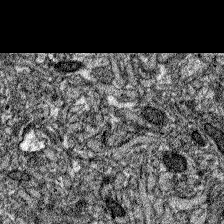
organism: Zebrafish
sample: Larval olfactory bulb